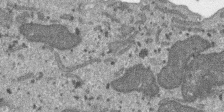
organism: Human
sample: Lung epithelial cells infected with SARS-CoV-2